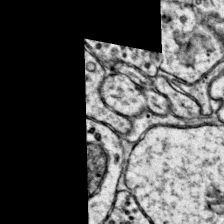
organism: Mouse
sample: Primary visual cortex